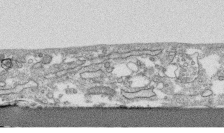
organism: Human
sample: CRL-1474